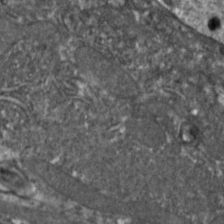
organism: Zebrafish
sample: Zebrafish embryo